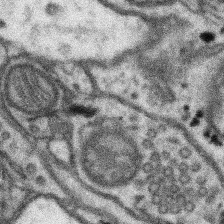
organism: Mouse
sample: Somatosensory cortex neuropil